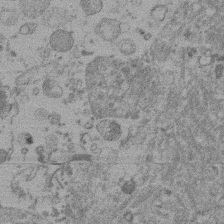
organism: Mouse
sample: Dividing mouse embryo 1 cell stage